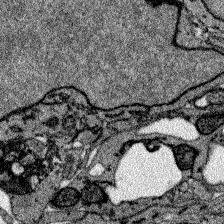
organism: Zebrafish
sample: Larval olfactory bulb